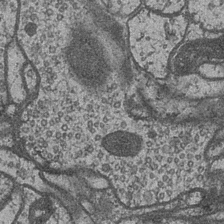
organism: Drosophila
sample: Optic medulla